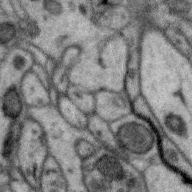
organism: Zebra finch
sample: Brain